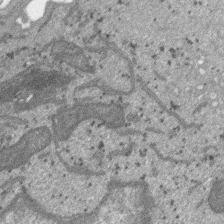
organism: Human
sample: Lung epithelial cells infected with SARS-CoV-2